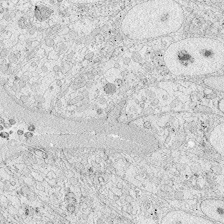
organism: Zebrafish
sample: Whole-Brain